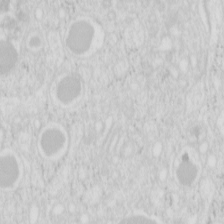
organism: Mouse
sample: Pancreas